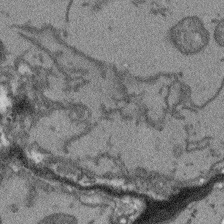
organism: Arabidopsis thaliana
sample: Root tip